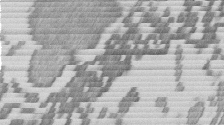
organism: Mouse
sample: Dividing mouse embryo 1 cell stage